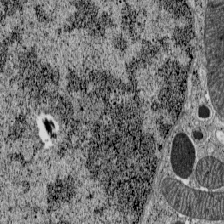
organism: C57BL Mouse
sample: Pancreatic islet